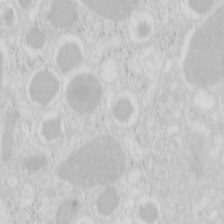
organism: Mouse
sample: Pancreas